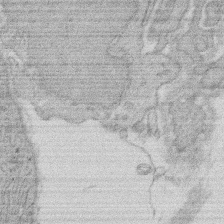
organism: Rat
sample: Salivary granule